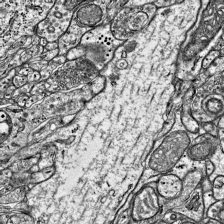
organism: Mouse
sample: Visual Cortex